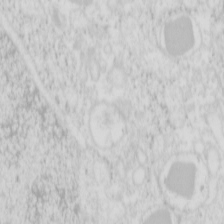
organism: Mouse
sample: Pancreas